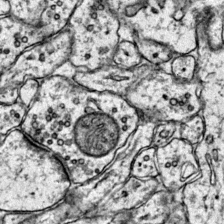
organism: Mouse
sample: Primary visual cortex